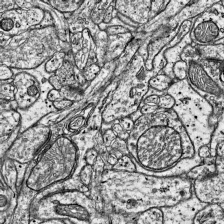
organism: Mouse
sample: Visual Cortex